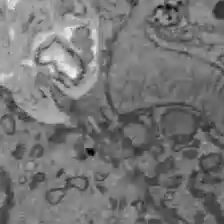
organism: C57BL Mouse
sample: Liver